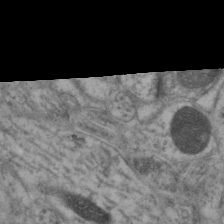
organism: Mouse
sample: Neocortex